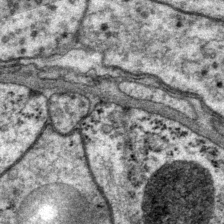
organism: P. pacificus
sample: Pharynx